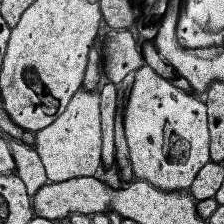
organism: Human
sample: Temporal Lobe